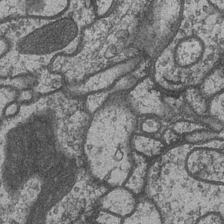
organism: Drosophila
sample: Optic medulla